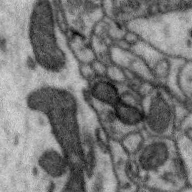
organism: Zebra finch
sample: Brain